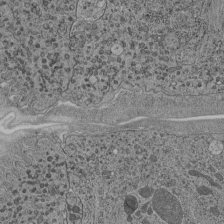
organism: C. elegans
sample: C. elegans pharynx